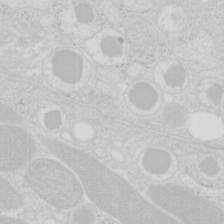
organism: Mouse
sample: Pancreas